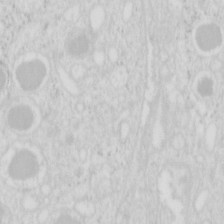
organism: Mouse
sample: Pancreas